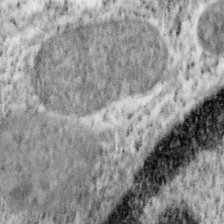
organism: Mouse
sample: OT-I killer T cells with ID8 ovarian cancer cells